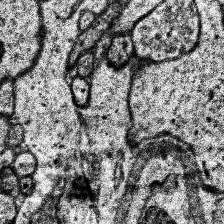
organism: Human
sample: Temporal Lobe